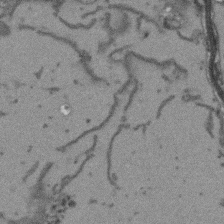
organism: Arabidopsis thaliana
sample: Root tip